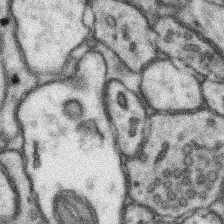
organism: Mouse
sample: Somatosensory cortex neuropil